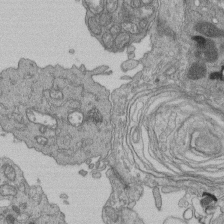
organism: Human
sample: Retinal organoid Rod and Cone cells